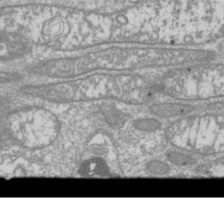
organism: Drosophila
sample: Cell division; meiosis; drosophila spermatocytes